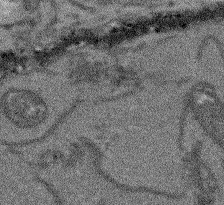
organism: Arabidopsis thaliana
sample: Root tip